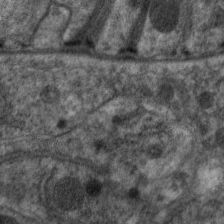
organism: C. elegans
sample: Pharynx